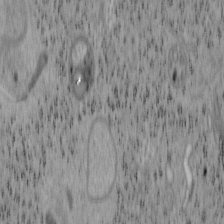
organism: Human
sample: HeLa cells